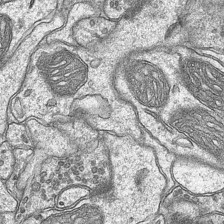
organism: Mouse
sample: CA1 Hippocampus